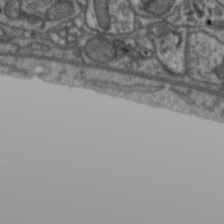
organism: Zebra finch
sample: Brain